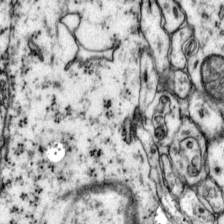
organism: Mouse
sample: Primary visual cortex